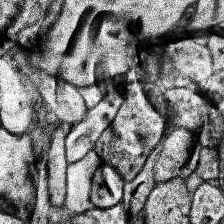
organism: Human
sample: Temporal Lobe